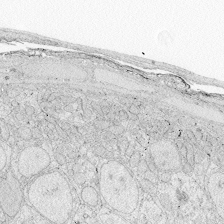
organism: Zebrafish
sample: Whole-Brain